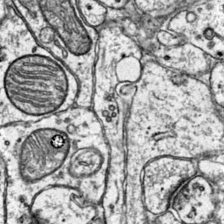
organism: Mouse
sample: Primary visual cortex